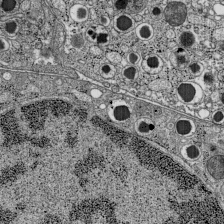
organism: C57BL Mouse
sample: Pancreatic islet